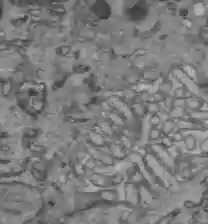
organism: C57BL Mouse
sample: Liver